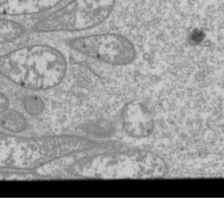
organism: Drosophila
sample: Cell division; meiosis; drosophila spermatocytes